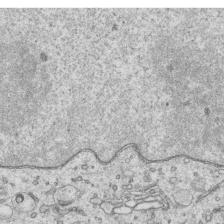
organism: Human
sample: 1205lu cells